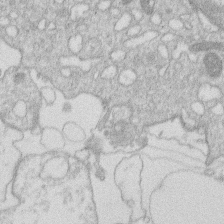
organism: Human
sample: Macrophage cells